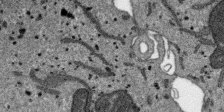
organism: Human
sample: Lung epithelial cells, uninfected (mock) control